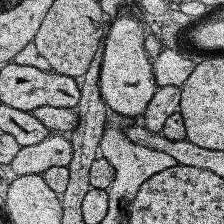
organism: Human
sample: Temporal Lobe